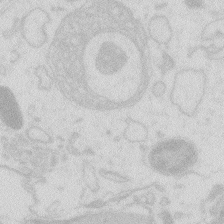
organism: Zebrafish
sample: Macrophage